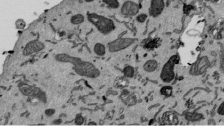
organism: Mouse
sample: ED-1 cell nuclei; centrioles